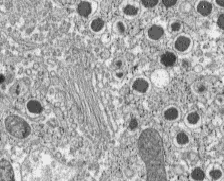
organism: C57BL Mouse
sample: Pancreatic islet